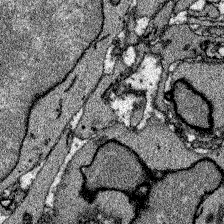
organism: Zebrafish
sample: Larval olfactory bulb